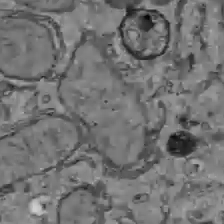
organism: C57BL Mouse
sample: Liver